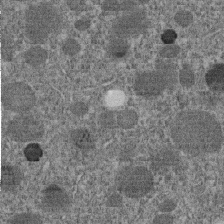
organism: C. elegans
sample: C. elegans embryo early stage